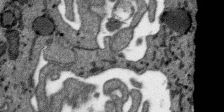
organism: Human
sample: Lung epithelial cells, uninfected (mock) control